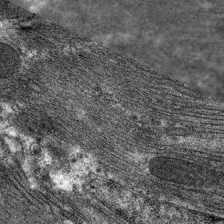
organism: C. elegans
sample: Pharynx